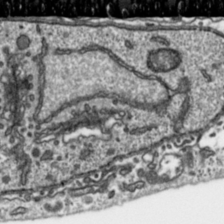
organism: Toxoplasma gondii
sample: Parasites in a vacuole inside a host cell